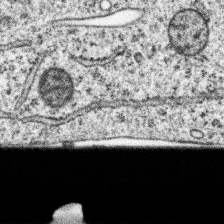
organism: Human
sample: HeLa cells